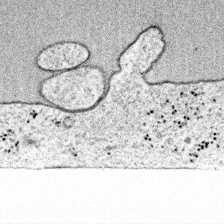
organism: Human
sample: HeLa cells